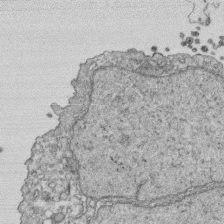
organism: Human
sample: HeLa cell HIV synapse